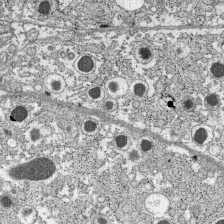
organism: C57BL Mouse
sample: Pancreatic islet